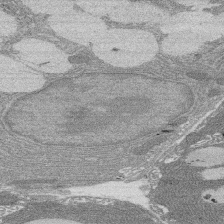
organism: Rat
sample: Salivary granule